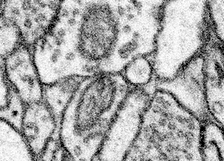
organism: Mouse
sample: Somatosensory cortex neuropil